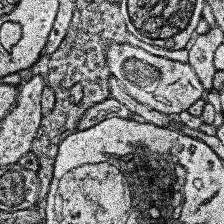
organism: Human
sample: Temporal Lobe